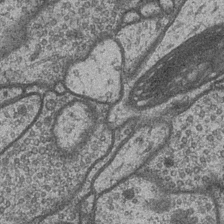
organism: Drosophila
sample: Optic medulla